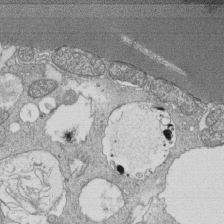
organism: Tetrahymena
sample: Cilia in tetrahymena